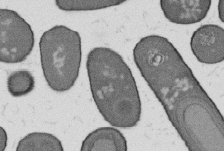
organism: B. subtilis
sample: Bacterial spore